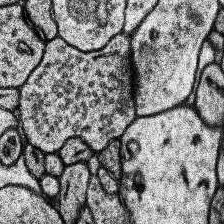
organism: Human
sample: Temporal Lobe